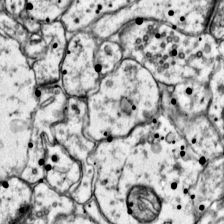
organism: Mouse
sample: Primary visual cortex